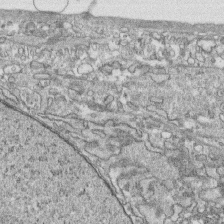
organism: Human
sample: CRL-1474